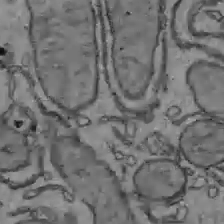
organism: C57BL Mouse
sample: Liver